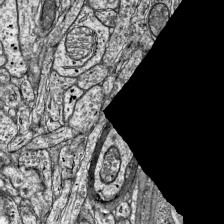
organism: Mouse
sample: Visual Cortex